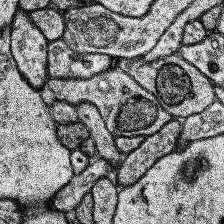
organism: Human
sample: Temporal Lobe